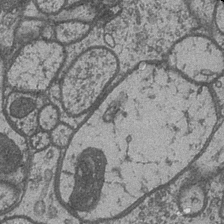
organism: Drosophila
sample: Optic medulla